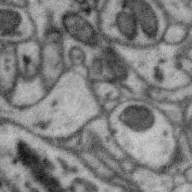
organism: Zebra finch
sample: Brain